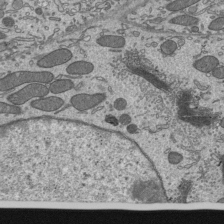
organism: Mouse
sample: Mouse epididymis efferent ductule cilia